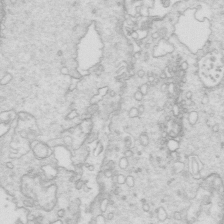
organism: Mouse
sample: Multiciliated cells